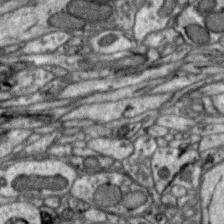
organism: Zebra finch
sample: Brain